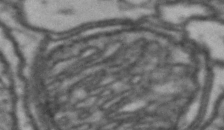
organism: Drosophila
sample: Brain